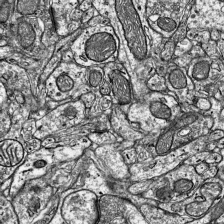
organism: Mouse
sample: Visual Cortex